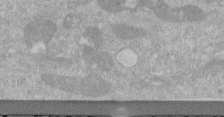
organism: Human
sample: Centriole in RPE cells